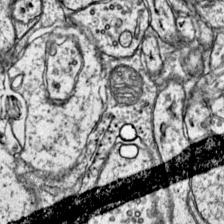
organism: Mouse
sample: Primary visual cortex